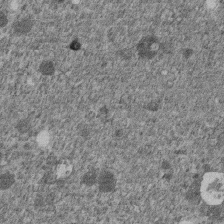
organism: C. elegans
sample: C. elegans embryo early stage